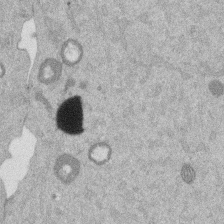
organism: Mouse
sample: Dividing mouse embryo 1 cell stage